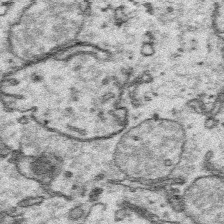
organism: Platynereis dumerilii